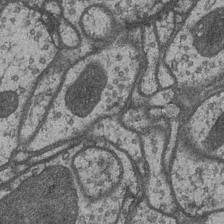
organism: Drosophila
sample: Optic medulla